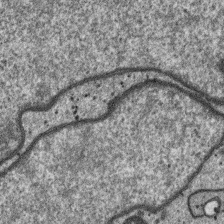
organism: Human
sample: Lung epithelial cells infected with SARS-CoV-2